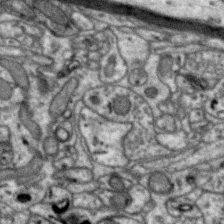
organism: Zebra finch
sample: Brain